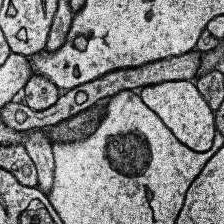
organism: Human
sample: Temporal Lobe